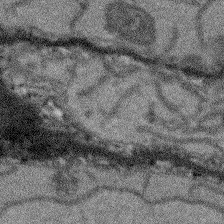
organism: Arabidopsis thaliana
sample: Root tip